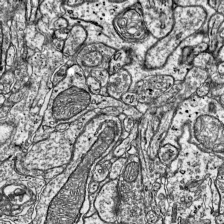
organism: Mouse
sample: Visual Cortex